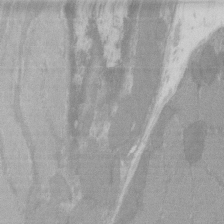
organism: C57BL Mouse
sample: Tibialis anterior muscle cell